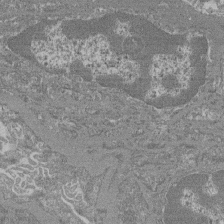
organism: Mouse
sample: Glomerulus